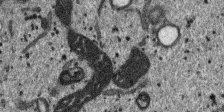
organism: Human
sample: Lung epithelial cells infected with SARS-CoV-2